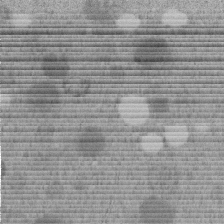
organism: C. elegans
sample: C. elegans embryo early stage